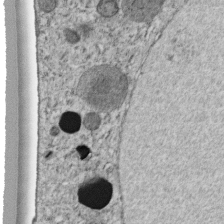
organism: C. elegans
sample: C. elegans embryo early stage